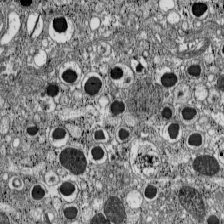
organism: C57BL Mouse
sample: Pancreatic islet